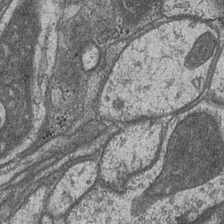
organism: Drosophila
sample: Optic medulla